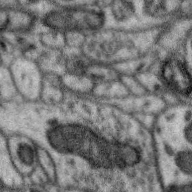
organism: Zebra finch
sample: Brain